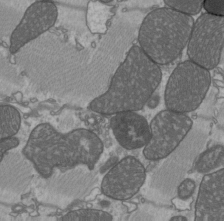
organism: C57BL Mouse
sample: Heart